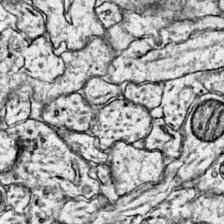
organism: Mouse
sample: Primary visual cortex